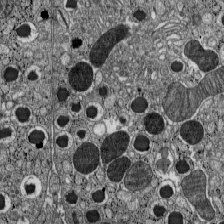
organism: C57BL Mouse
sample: Pancreatic islet